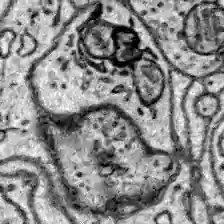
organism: Zebrafish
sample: Brain